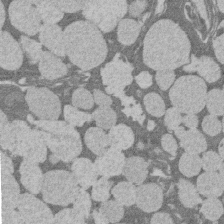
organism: Rat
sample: Salivary granule